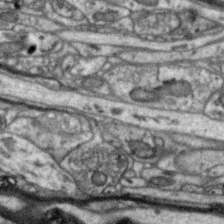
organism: Zebra finch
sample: Brain